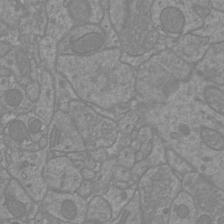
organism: Mouse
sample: Cortical neurons